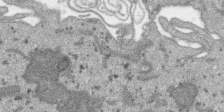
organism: Human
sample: Lung epithelial cells infected with SARS-CoV-2